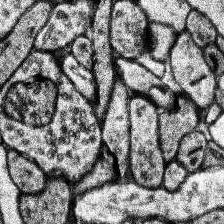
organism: Human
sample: Temporal Lobe